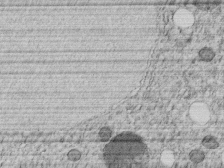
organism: C. elegans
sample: C. elegans embryo early stage